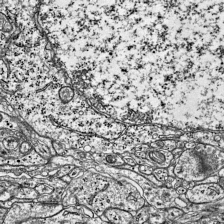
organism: Mouse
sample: Visual Cortex